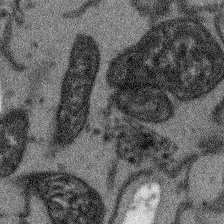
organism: Arabidopsis thaliana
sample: Root tip